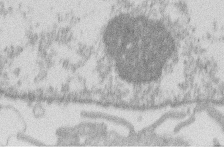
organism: Human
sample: Macrophage cells